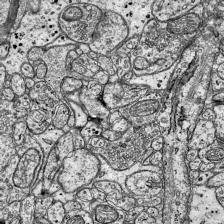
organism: Mouse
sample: Visual Cortex